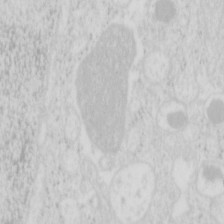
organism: Mouse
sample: Pancreas